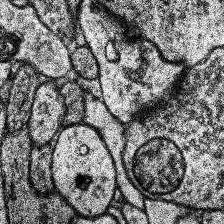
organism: Human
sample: Temporal Lobe